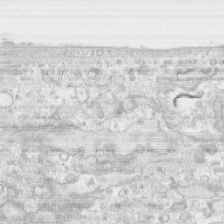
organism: Human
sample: CRL-1474